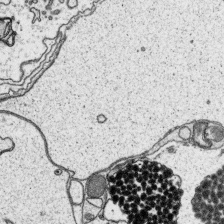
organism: Platynereis dumerilii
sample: Parapodia